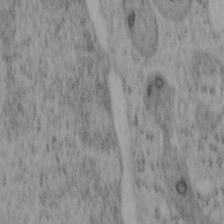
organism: Mouse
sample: OT-I killer T cells with ID8 ovarian cancer cells